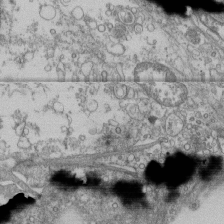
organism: Human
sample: Fibroblast cells